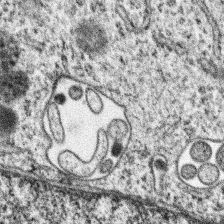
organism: Human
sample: HeLa cells